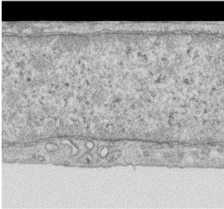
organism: Human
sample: Centriole in RPE cells